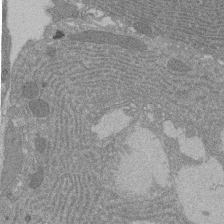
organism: Rat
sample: Salivary granule